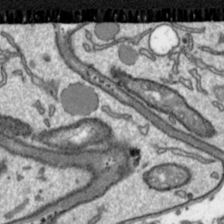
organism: Toxoplasma gondii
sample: Parasites in a vacuole inside a host cell